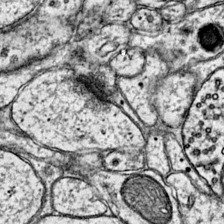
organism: Mouse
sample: Primary visual cortex